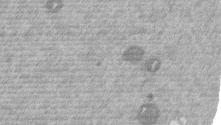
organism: Mouse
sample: Dividing mouse embryo 1 cell stage